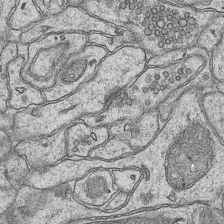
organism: Mouse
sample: CA1 Hippocampus